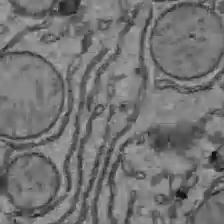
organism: C57BL Mouse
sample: Liver